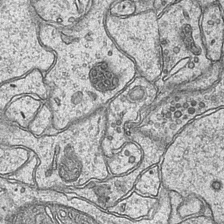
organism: Mouse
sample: CA1 Hippocampus